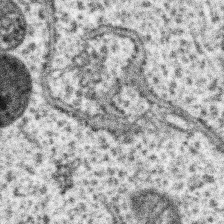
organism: Human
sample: HeLa cells